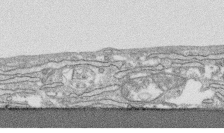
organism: Human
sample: CRL-1474